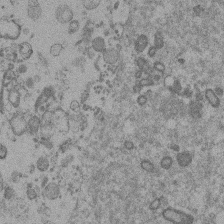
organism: Mouse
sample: Dividing mouse embryo 1 cell stage